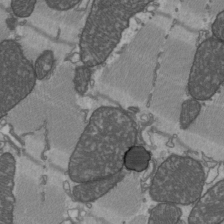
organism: C57BL Mouse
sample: Heart